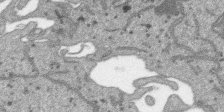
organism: Human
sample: Lung epithelial cells infected with SARS-CoV-2